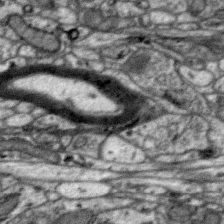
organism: Zebra finch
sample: Brain